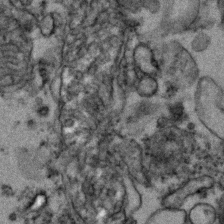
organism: Zebrafish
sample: Zebrafish embryo